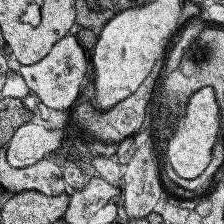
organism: Human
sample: Temporal Lobe